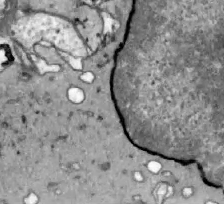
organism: Zebrafish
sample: Actinotrichia fibers